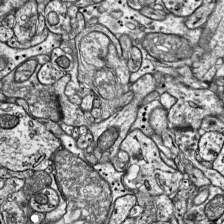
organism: Mouse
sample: Visual Cortex